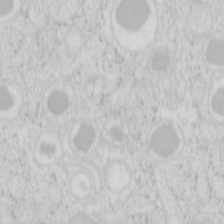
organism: Mouse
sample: Pancreas